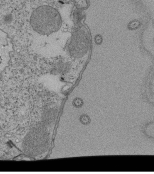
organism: Tetrahymena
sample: Cilia in tetrahymena